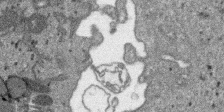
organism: Human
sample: Lung epithelial cells infected with SARS-CoV-2